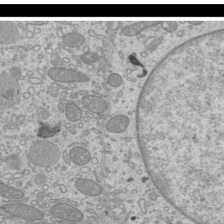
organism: Mouse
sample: Cilia; mouse epididymis